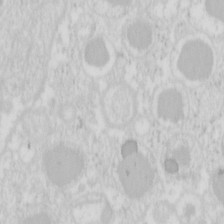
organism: Mouse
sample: Pancreas